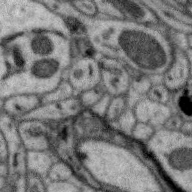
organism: Zebra finch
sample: Brain